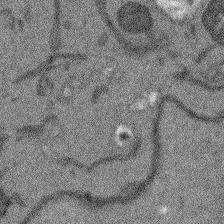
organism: Arabidopsis thaliana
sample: Root tip